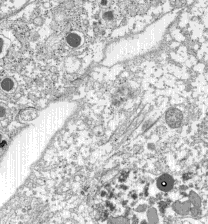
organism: C57BL Mouse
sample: Pancreatic islet